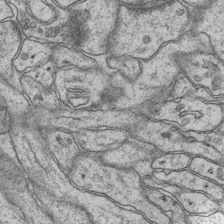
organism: Mouse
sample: CA1 Hippocampus